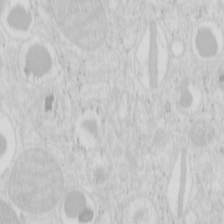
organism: Mouse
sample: Pancreas